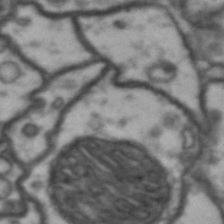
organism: Drosophila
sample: Brain